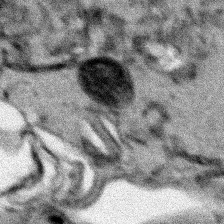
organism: Human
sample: Mitochondria in HCT116 cells